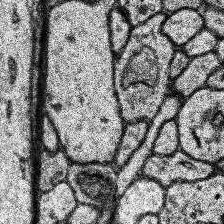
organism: Human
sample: Temporal Lobe